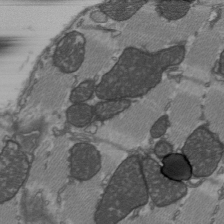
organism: C57BL Mouse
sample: Heart